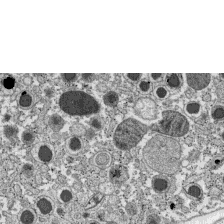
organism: C57BL Mouse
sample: Pancreatic islet